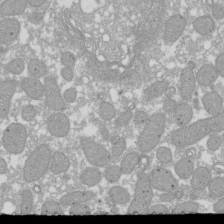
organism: Xenopus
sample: Cilia; centrioles in frog embryo cells